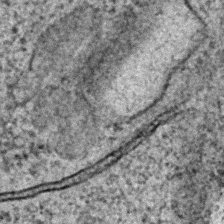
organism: C. elegans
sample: C. elegans embryo